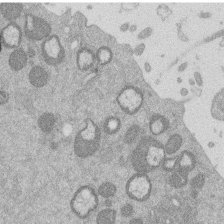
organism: Mouse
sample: Dividing mouse embryo 1 cell stage